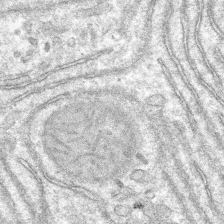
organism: Mouse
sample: Mouse hepatocytes